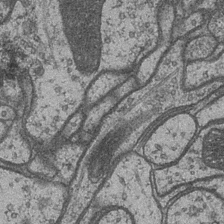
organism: Drosophila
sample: Optic medulla